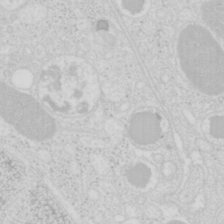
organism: Mouse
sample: Pancreas